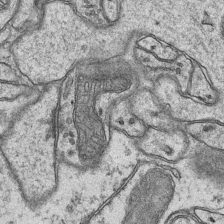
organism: Mouse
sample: CA1 Hippocampus